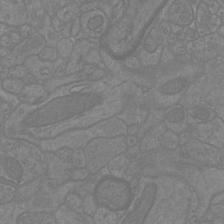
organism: Mouse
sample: Cortical neurons